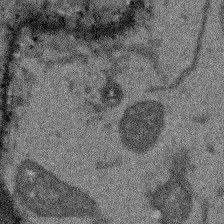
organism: Arabidopsis thaliana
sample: Root tip